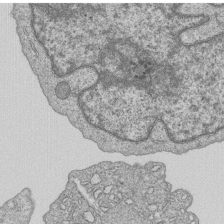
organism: Human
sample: MDA-MB-231 cells